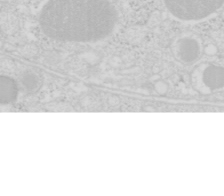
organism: Mouse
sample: Pancreas